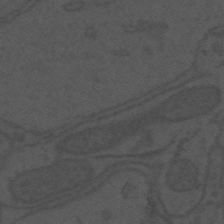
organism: Mouse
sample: Suprachiasmatic nucleus